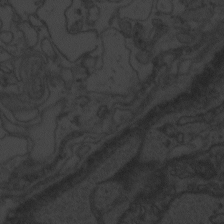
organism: Zebrafish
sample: Macrophage infected with Toxoplasma gondii